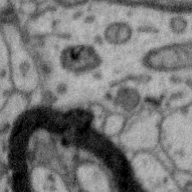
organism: Zebra finch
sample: Brain